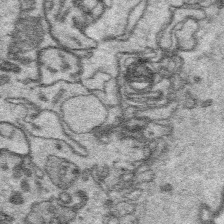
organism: Platynereis dumerilii